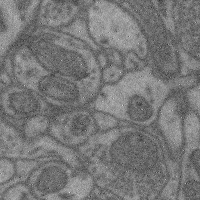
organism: Mouse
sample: Cerebral cortex